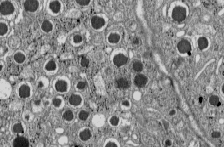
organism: C57BL Mouse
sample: Pancreatic islet